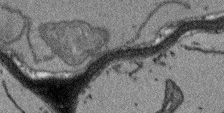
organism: Arabidopsis thaliana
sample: Root tip